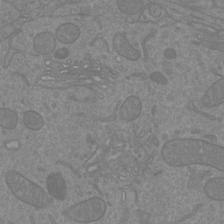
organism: Mouse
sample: Cortical neurons